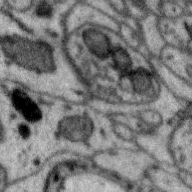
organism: Zebra finch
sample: Brain